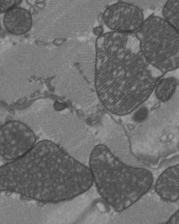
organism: C57BL Mouse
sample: Heart